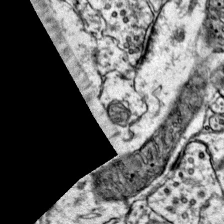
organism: Mouse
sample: Primary visual cortex